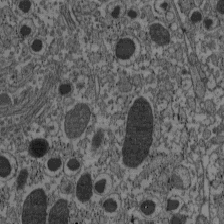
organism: C57BL Mouse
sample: Pancreatic islet